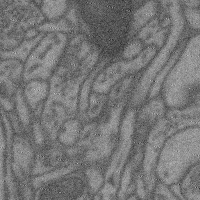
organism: Mouse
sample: Cerebral cortex